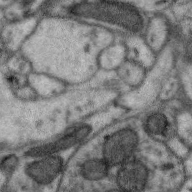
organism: Zebra finch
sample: Brain